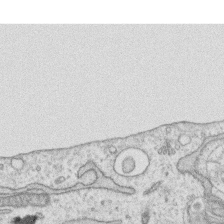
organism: Human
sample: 1205lu cells